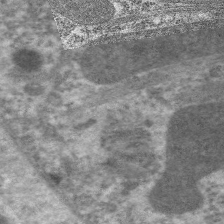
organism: C. elegans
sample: Pharynx